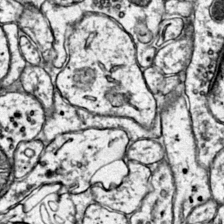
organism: Mouse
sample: Primary visual cortex